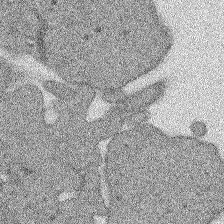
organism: Human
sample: HeLa cells